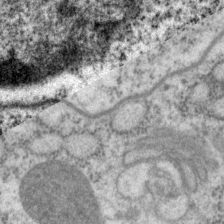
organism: P. pacificus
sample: Pharynx